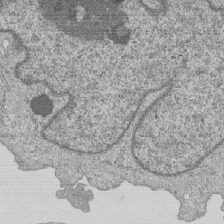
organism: Human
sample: MDA-MB-231 cells